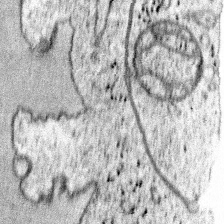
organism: Human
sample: HeLa cells